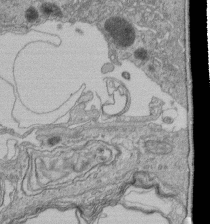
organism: Human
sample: Retinal organoid Rod and Cone cells